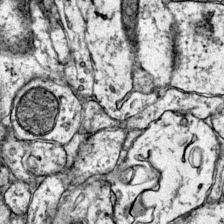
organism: Mouse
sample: Primary visual cortex